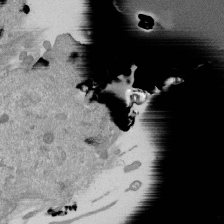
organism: Mouse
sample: ED-1 cell nuclei; centrioles